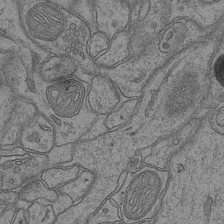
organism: Mouse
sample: CA1 Hippocampus